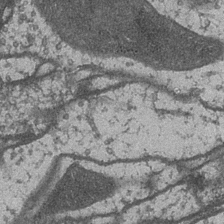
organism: Drosophila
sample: Optic medulla